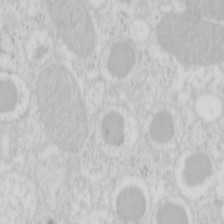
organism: Mouse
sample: Pancreas